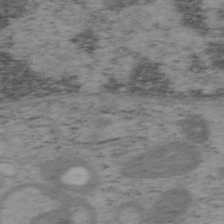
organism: Mouse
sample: OT-I killer T cells with ID8 ovarian cancer cells